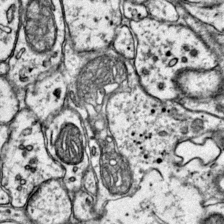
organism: Mouse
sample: Primary visual cortex